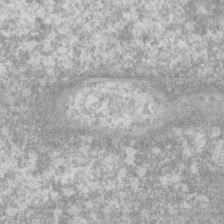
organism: Human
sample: Fibroblast cells